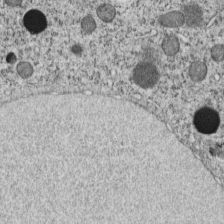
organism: C. elegans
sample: C. elegans embryo early stage